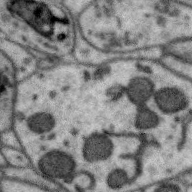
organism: Zebra finch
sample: Brain